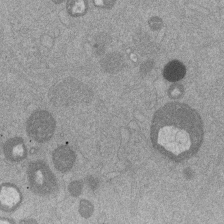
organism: Mouse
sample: Dividing mouse embryo 1 cell stage